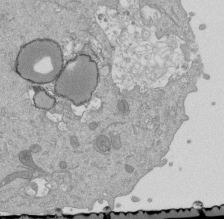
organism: Mouse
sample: ED-1 cell nuclei; centrioles